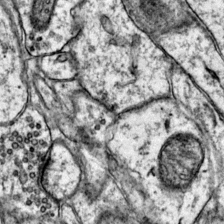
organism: Mouse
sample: Primary visual cortex